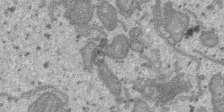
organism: Human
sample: Lung epithelial cells infected with SARS-CoV-2